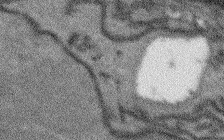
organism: Arabidopsis thaliana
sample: Root tip